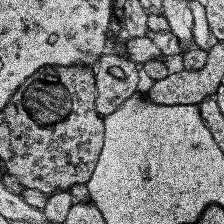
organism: Human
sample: Temporal Lobe